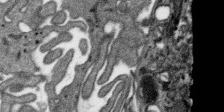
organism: Human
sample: Lung epithelial cells, uninfected (mock) control